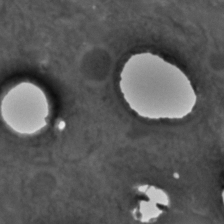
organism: C. elegans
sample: C. elegans embryo